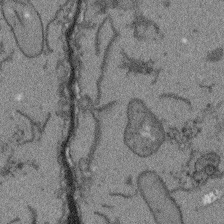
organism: Arabidopsis thaliana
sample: Root tip